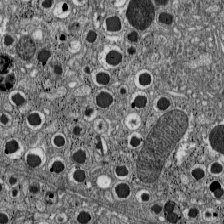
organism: C57BL Mouse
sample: Pancreatic islet